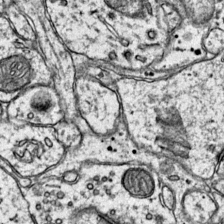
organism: Mouse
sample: Primary visual cortex